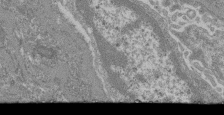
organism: Mouse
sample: Glomerulus